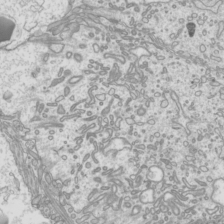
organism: Mouse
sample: Cilia; mouse epididymis